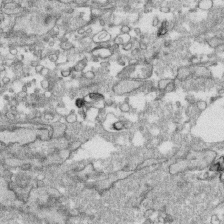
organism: Human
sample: CRL-1474